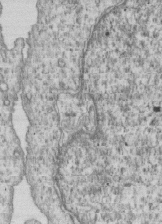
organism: Human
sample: MDA-MB-231 cells